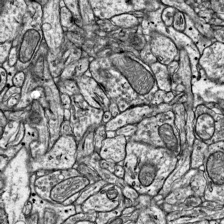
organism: Mouse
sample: Visual Cortex